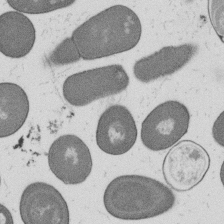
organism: B. subtilis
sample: Bacterial spore